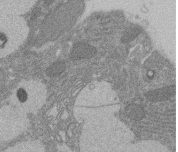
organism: Rat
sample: Salivary granule